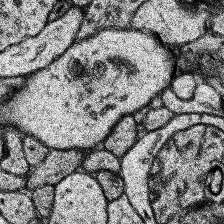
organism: Human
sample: Temporal Lobe